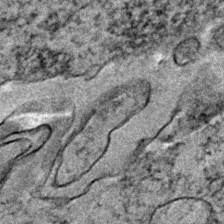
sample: Trachea